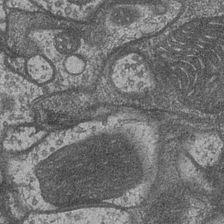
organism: Drosophila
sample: Optic medulla